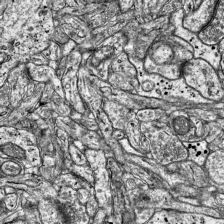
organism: Mouse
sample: Visual Cortex